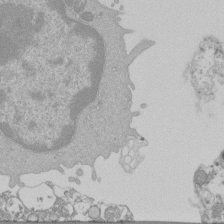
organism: Mouse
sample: Activated Pmel transgenic CD8+ T Cells